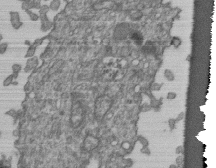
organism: Human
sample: Retinal organoid Rod and Cone cells